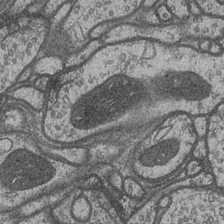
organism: Drosophila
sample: Optic medulla